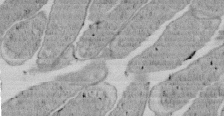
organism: E. coli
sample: Bacterial nucleoid